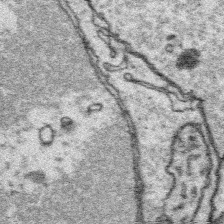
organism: Platynereis dumerilii